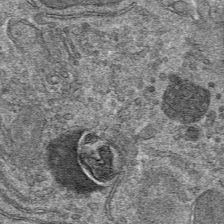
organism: Mouse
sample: Mouse hepatocytes